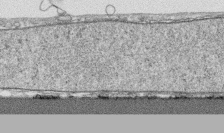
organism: Human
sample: CRL-1474